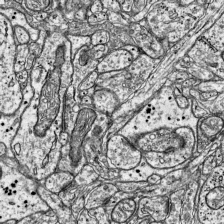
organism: Mouse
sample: Visual Cortex